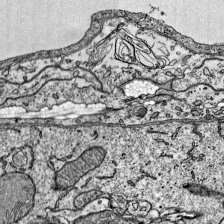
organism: Mouse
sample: Visual Cortex